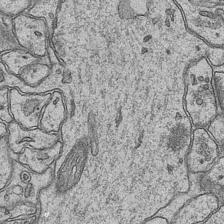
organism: Mouse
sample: CA1 Hippocampus